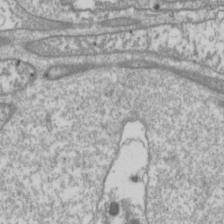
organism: Drosophila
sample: Cell division; meiosis; drosophila spermatocytes